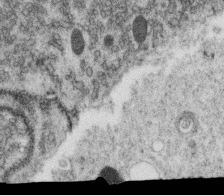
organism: C. elegans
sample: C. elegans oocyte; sperm cells